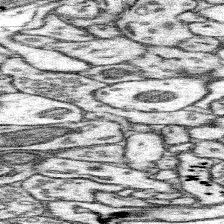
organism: Mouse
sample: Somatosensory cortex neuropil